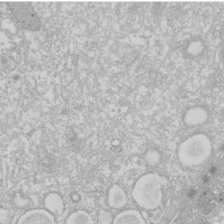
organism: Xenopus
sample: Cilia; centrioles in frog embryo cells